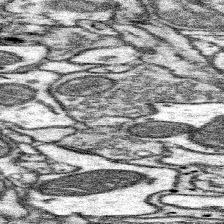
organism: Mouse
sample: Somatosensory cortex neuropil